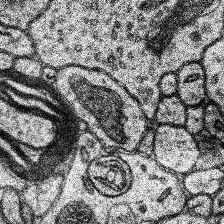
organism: Human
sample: Temporal Lobe